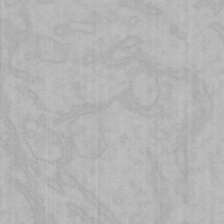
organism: Mouse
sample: Choroid plexus